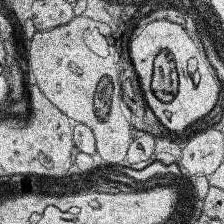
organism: Human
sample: Temporal Lobe